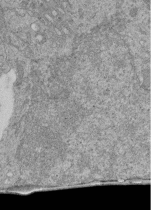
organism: Human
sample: Retinal organoid Rod and Cone cells